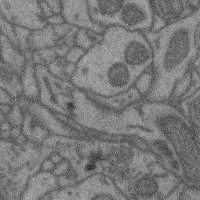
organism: Mouse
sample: Cerebral cortex